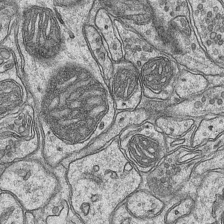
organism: Mouse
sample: CA1 Hippocampus